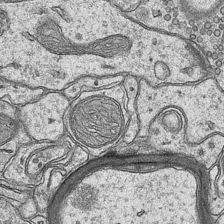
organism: Mouse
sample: CA1 Hippocampus